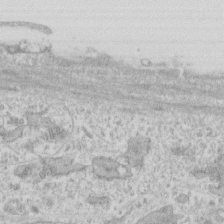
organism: Human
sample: Fibroblast cells